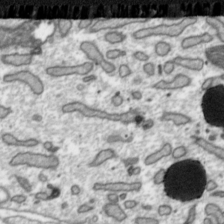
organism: Toxoplasma gondii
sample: Parasites in a vacuole inside a host cell